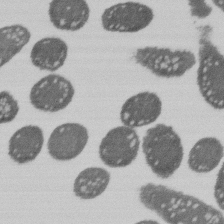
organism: E. coli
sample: Bacterial nucleoid